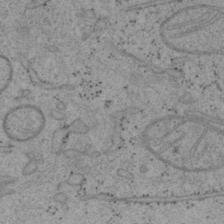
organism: Human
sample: HeLa cells